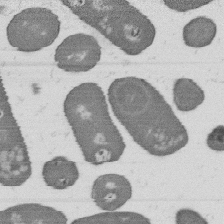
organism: B. subtilis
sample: Bacterial spore